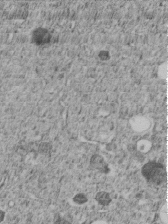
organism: C. elegans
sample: C. elegans embryo early stage